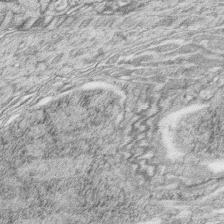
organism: Zebrafish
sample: synaptic ribbons in rod cells and cone cells